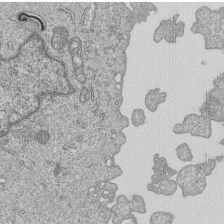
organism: Human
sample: MDA-MB-231 cells